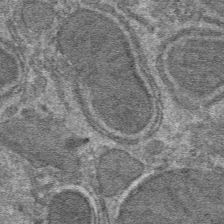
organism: Mouse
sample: Mouse hepatocytes